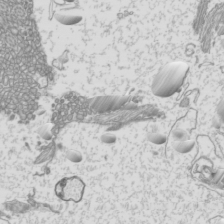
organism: Mouse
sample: Cilia; mouse epididymis